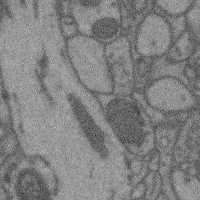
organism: Mouse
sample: Cerebral cortex